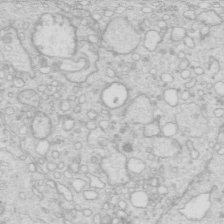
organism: Mouse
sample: Multiciliated cells